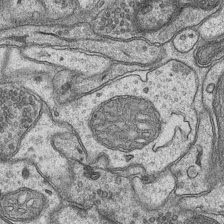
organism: Mouse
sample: CA1 Hippocampus